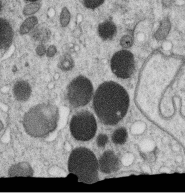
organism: C. elegans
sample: C. elegans oocyte; sperm cells